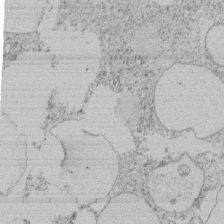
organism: Tetrahymena